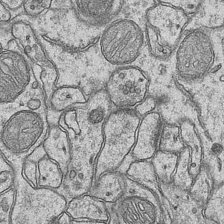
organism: Mouse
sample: CA1 Hippocampus